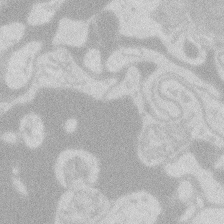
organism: Zebrafish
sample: Macrophage